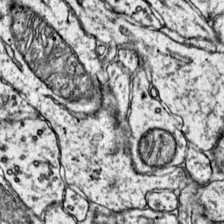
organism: Mouse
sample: Primary visual cortex